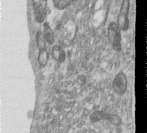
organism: Human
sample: Centriole in RPE cells